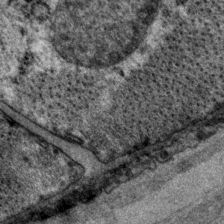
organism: P. pacificus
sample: Pharynx